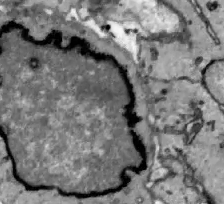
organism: Zebrafish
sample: Actinotrichia fibers